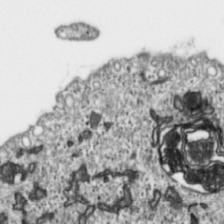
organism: Toxoplasma gondii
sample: Parasites in a vacuole inside a host cell